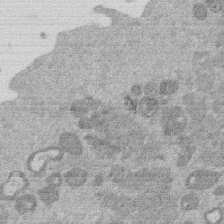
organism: Mouse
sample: Dividing mouse embryo 1 cell stage